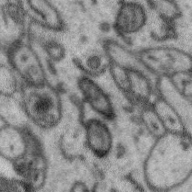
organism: Zebra finch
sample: Brain